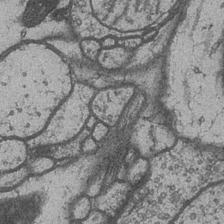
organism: Drosophila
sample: Optic medulla